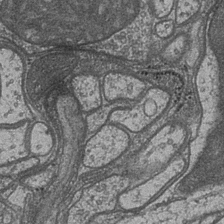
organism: Drosophila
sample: Optic medulla